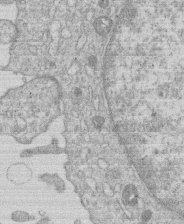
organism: Human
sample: Macrophage cells